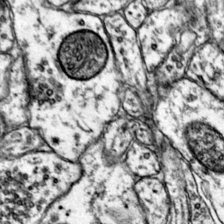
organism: Mouse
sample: Primary visual cortex